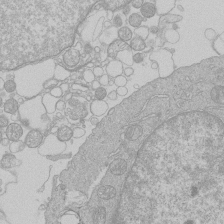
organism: Human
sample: Macrophage cells